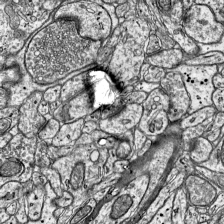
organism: Mouse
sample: Visual Cortex